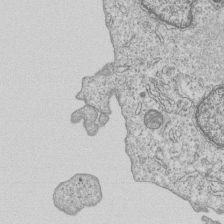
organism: Human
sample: MDA-MB-231 cells